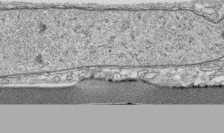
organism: Human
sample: CRL-1474